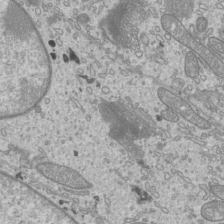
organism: Mouse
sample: Cilia; mouse epididymis